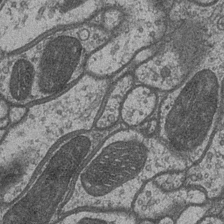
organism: Drosophila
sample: Optic medulla